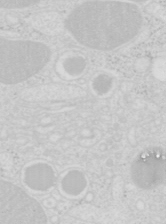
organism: Mouse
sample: Pancreas